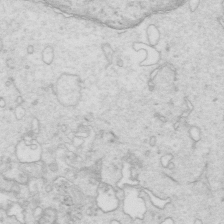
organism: Mouse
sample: Multiciliated cells